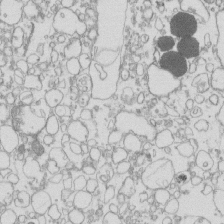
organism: Mouse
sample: Macrophages